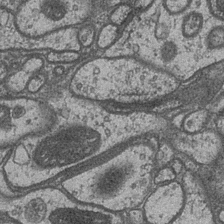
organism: Drosophila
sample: Optic medulla